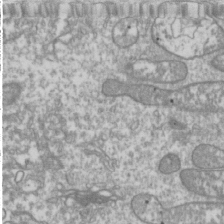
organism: Drosophila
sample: Cell division; meiosis; drosophila spermatocytes